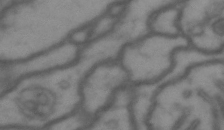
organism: Drosophila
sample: Brain